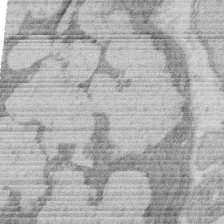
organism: Rat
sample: Salivary granule